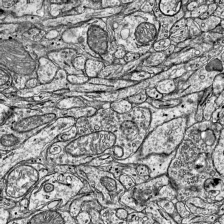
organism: Mouse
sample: Visual Cortex